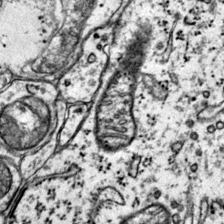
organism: Mouse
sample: Primary visual cortex